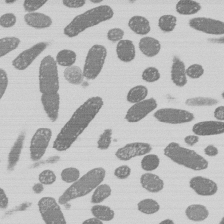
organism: E. coli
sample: Bacterial nucleoid